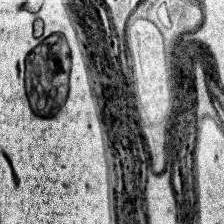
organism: Human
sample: Temporal Lobe